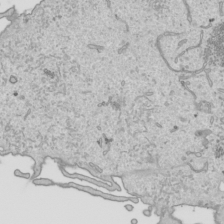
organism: Human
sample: Mitochondria in HCT116 cells